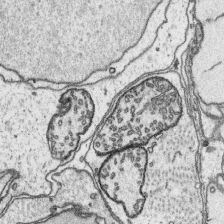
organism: Platynereis dumerilii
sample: Parapodia